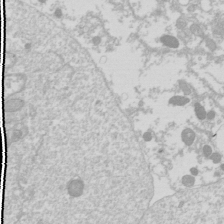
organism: Drosophila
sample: Cell division; meiosis; drosophila spermatocytes